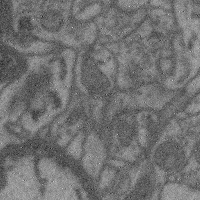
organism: Mouse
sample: Cerebral cortex